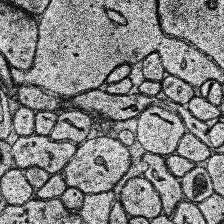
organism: Human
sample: Temporal Lobe